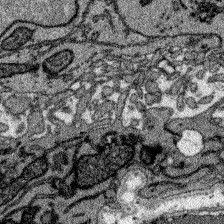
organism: Zebrafish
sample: Larval olfactory bulb